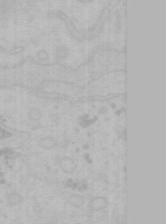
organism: Mouse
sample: Choroid plexus